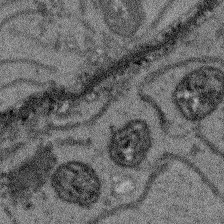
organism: Arabidopsis thaliana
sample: Root tip